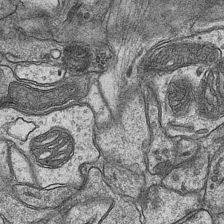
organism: Mouse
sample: CA1 Hippocampus